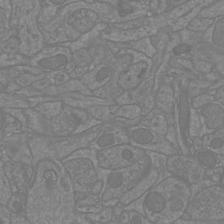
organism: Mouse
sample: Cortical neurons